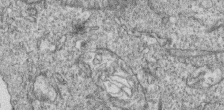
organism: Human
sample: HeLa cell HIV synapse